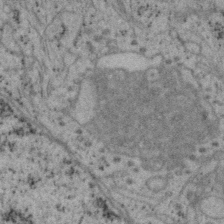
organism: Human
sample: HeLa cells